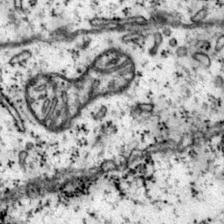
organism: Mouse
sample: Primary visual cortex